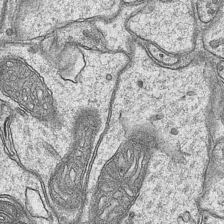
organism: Mouse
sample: CA1 Hippocampus